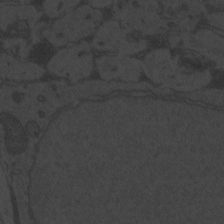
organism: Zebrafish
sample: Macrophage infected with Toxoplasma gondii